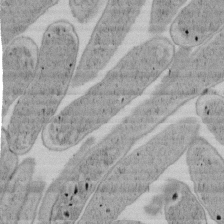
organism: E. coli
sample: Bacterial nucleoid